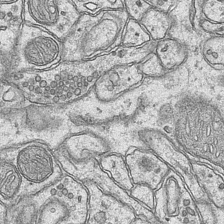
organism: Mouse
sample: CA1 Hippocampus